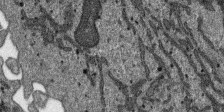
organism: Human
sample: Lung epithelial cells infected with SARS-CoV-2